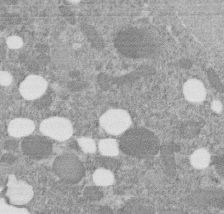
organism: C. elegans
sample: C. elegans embryo early stage